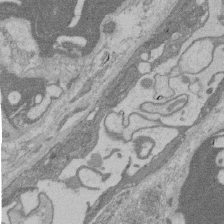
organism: Rat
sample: Salivary granule